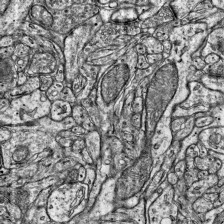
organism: Mouse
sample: Visual Cortex